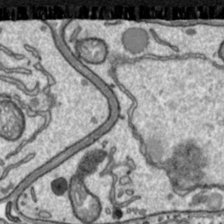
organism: Toxoplasma gondii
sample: Parasites in a vacuole inside a host cell